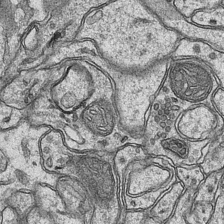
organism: Mouse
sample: CA1 Hippocampus